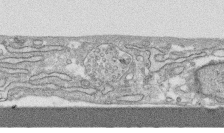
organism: Human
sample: CRL-1474